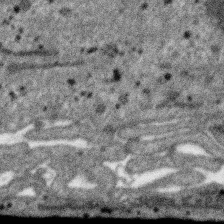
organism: Human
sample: Lung epithelial cells infected with SARS-CoV-2